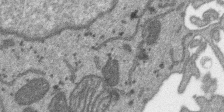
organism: Human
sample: Lung epithelial cells infected with SARS-CoV-2